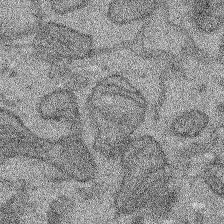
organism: Human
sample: HeLa cells